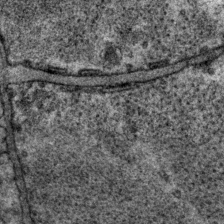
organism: P. pacificus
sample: Pharynx